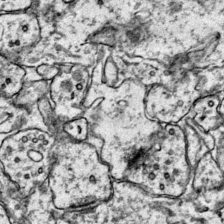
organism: Mouse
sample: Primary visual cortex